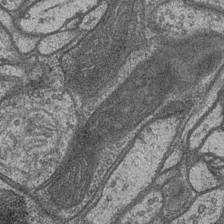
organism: Drosophila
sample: Optic medulla